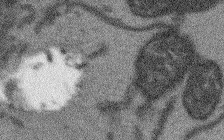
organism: Arabidopsis thaliana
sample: Root tip